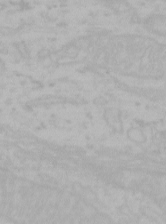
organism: Mouse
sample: Choroid plexus